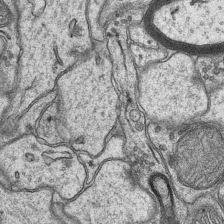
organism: Mouse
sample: CA1 Hippocampus